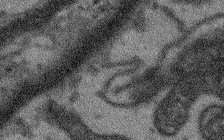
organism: Arabidopsis thaliana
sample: Root tip